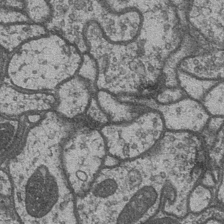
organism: Drosophila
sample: Optic medulla